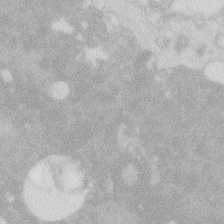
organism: Zebrafish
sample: Macrophage